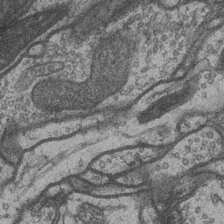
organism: Drosophila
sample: Optic medulla